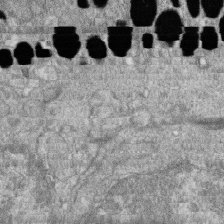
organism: Zebrafish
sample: Cilia; retinal pigment epithelium